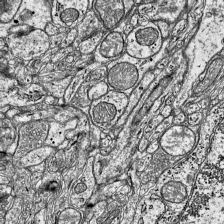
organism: Mouse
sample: Visual Cortex